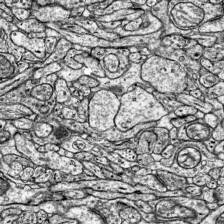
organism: Mouse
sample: Visual Cortex